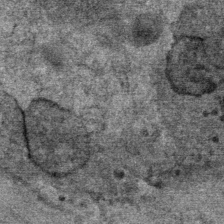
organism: Mouse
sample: Mouse Salivary gland